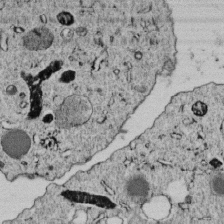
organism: C. elegans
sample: C. elegans embryo early stage